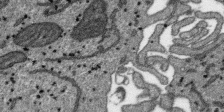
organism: Human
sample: Lung epithelial cells, uninfected (mock) control